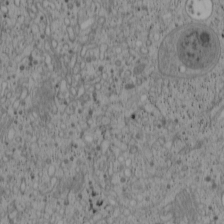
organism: African green monkey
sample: COS-7 cells